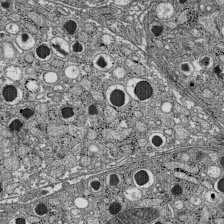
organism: C57BL Mouse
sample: Pancreatic islet